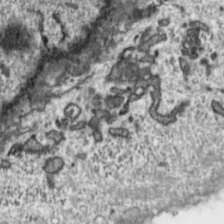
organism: Toxoplasma gondii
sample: Parasites in a vacuole inside a host cell